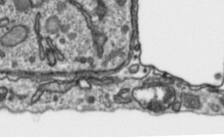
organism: Toxoplasma gondii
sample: Parasites in a vacuole inside a host cell